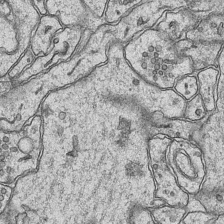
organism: Mouse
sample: CA1 Hippocampus